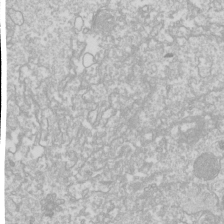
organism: Drosophila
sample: Cell division; meiosis; drosophila spermatocytes